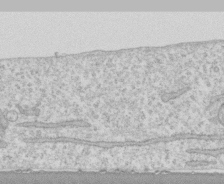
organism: Human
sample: CRL-1474